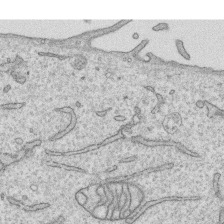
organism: Human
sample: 1205lu cells